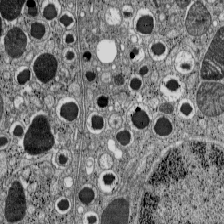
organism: C57BL Mouse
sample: Pancreatic islet